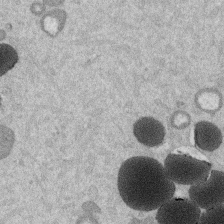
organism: Mouse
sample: Dividing mouse embryo 1 cell stage